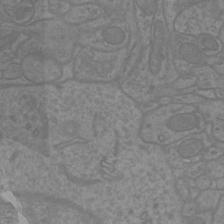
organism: Mouse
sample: Cortical neurons